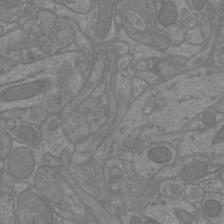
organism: Mouse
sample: Cortical neurons